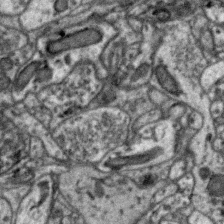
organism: Zebra finch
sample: Brain